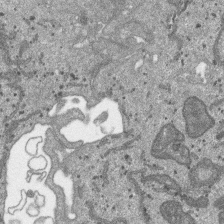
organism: Human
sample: Lung epithelial cells infected with SARS-CoV-2